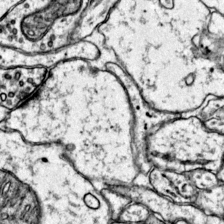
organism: Mouse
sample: Primary visual cortex